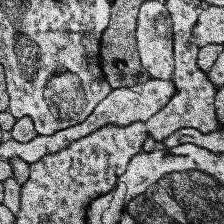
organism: Human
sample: Temporal Lobe